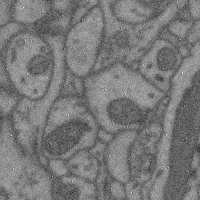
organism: Mouse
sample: Cerebral cortex